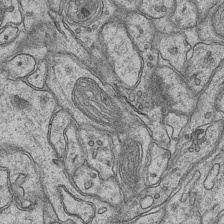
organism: Mouse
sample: CA1 Hippocampus